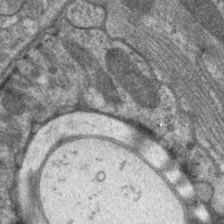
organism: C. elegans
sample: Pharynx